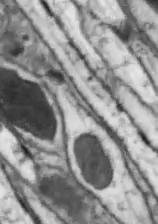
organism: Drosophila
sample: Optic lobe